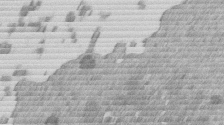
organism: Mouse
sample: Dividing mouse embryo 1 cell stage